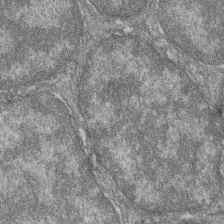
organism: Zebrafish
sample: Cilia; retinal pigment epithelium